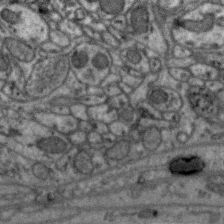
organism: Zebra finch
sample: Brain